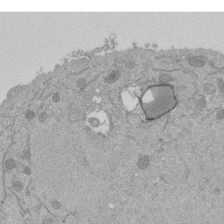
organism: Mouse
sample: ED-1 cell nuclei; centrioles